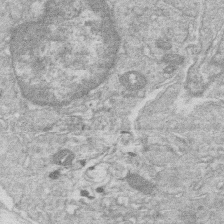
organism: Human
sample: Macrophage cells